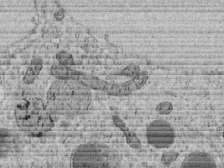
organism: C. elegans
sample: C. elegans embryo early stage